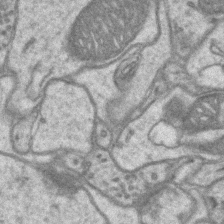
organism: Mouse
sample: CA1 Hippocampus